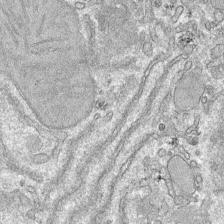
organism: Mouse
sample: Mouse hepatocytes